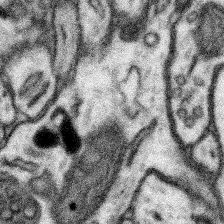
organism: Mouse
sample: Somatosensory cortex neuropil